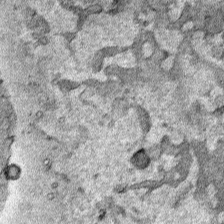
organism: Human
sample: Mitochondria in HCT116 cells